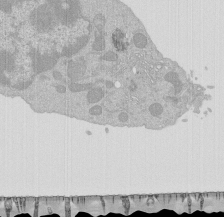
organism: Mouse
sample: Activated Pmel transgenic CD8+ T Cells